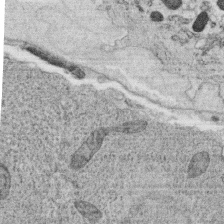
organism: C. elegans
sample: C. elegans oocyte; sperm cells